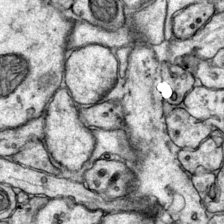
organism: Mouse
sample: Primary visual cortex